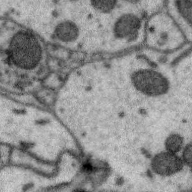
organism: Zebra finch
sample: Brain